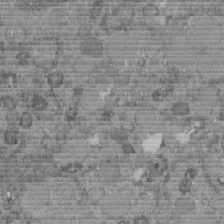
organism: C. elegans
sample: C. elegans embryo early stage